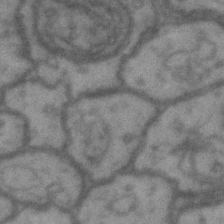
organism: Drosophila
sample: Brain